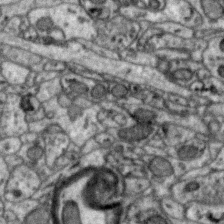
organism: Zebra finch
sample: Brain